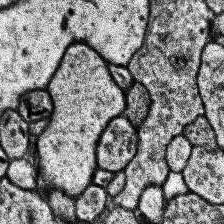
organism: Human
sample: Temporal Lobe